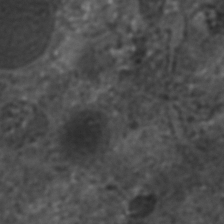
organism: C. elegans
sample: C. elegans embryo